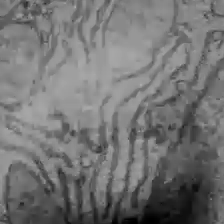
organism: C57BL Mouse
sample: Liver